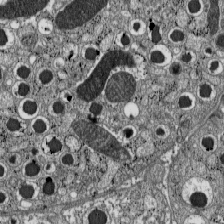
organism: C57BL Mouse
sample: Pancreatic islet